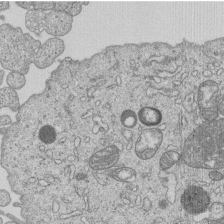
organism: Human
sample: MDA-MB-231 cells